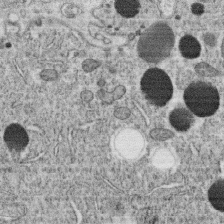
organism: C. elegans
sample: C. elegans oocyte; sperm cells